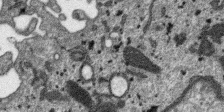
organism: Human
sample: Lung epithelial cells infected with SARS-CoV-2